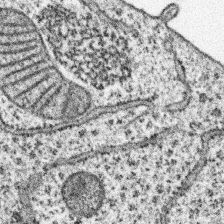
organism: Human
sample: HeLa cells